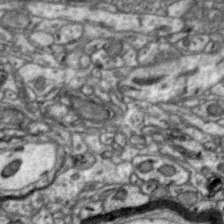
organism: Zebra finch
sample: Brain